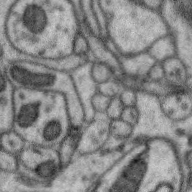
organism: Zebra finch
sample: Brain